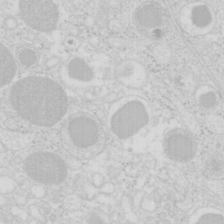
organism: Mouse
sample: Pancreas